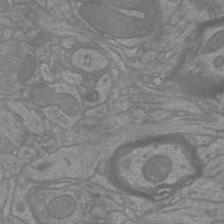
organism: Mouse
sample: Cortical neurons